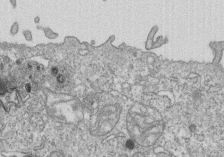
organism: Human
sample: HeLa cell HIV synapse